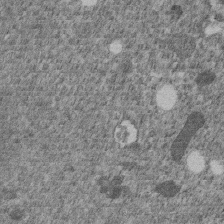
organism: C. elegans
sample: C. elegans embryo early stage